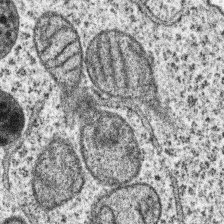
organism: Human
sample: HeLa cells